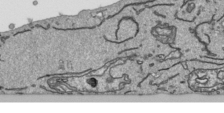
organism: Human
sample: Mitochondria in HCT116 cells